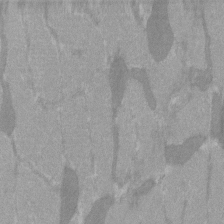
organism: C57BL Mouse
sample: Tibialis anterior muscle cell